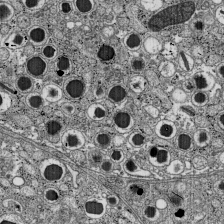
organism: C57BL Mouse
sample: Pancreatic islet